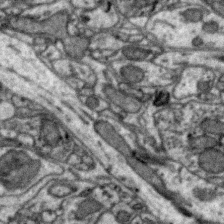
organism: Zebra finch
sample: Brain